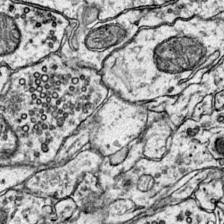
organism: Mouse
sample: Primary visual cortex